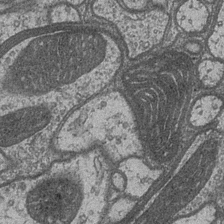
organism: Drosophila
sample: Optic medulla